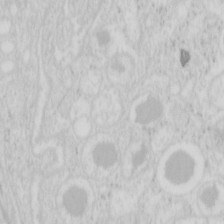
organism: Mouse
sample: Pancreas